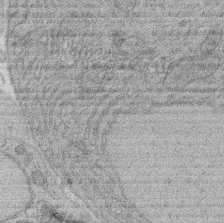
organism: Rat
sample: Salivary granule